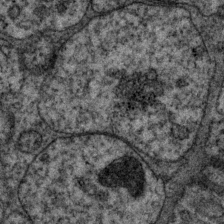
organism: P. pacificus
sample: Pharynx